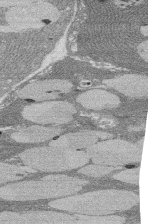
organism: Rat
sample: Salivary granule